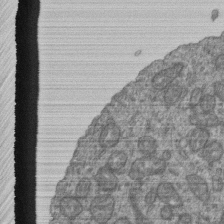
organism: Human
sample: Retinal organoid Rod and Cone cells